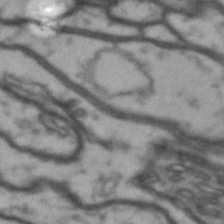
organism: Drosophila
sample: Brain